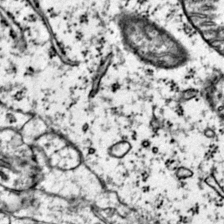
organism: Mouse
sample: Primary visual cortex